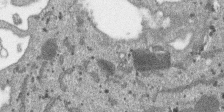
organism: Human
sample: Lung epithelial cells infected with SARS-CoV-2